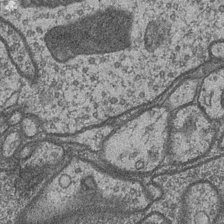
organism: Drosophila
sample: Optic medulla